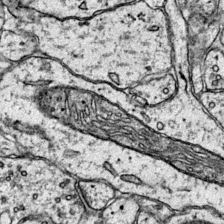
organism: Mouse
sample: Primary visual cortex